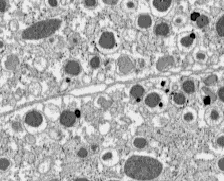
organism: C57BL Mouse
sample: Pancreatic islet